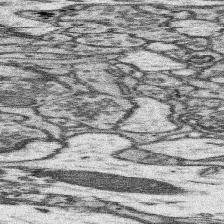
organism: Mouse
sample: Somatosensory cortex neuropil